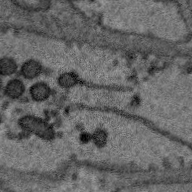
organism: Zebra finch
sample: Brain